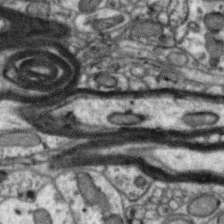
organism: Zebra finch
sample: Brain